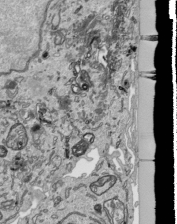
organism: Human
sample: Mitochondria in HCT116 cells